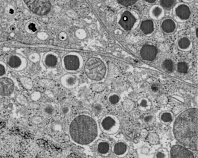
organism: C57BL Mouse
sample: Pancreatic islet